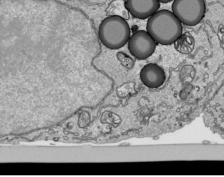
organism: Human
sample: Mitochondria in HCT116 cells